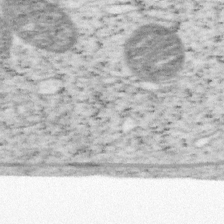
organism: Mouse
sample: OT-I killer T cells with ID8 ovarian cancer cells